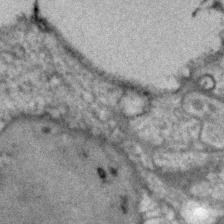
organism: Human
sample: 1205lu cells